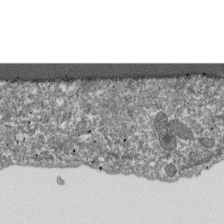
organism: Dictyostelium discoideum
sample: Dictyostelium multivesicular bodies